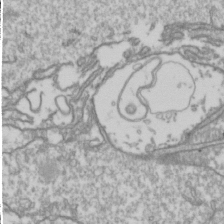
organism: Drosophila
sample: Cell division; meiosis; drosophila spermatocytes